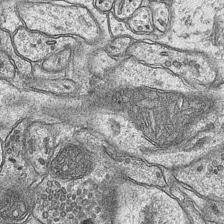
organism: Mouse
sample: CA1 Hippocampus